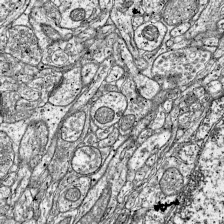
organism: Mouse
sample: Visual Cortex